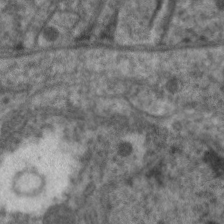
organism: C. elegans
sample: Pharynx